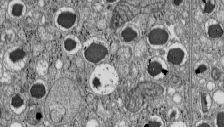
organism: C57BL Mouse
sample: Pancreatic islet